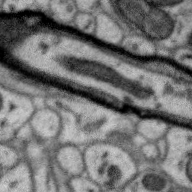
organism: Zebra finch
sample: Brain